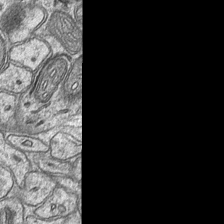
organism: Mouse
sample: CA1 Hippocampus